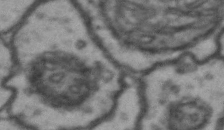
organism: Drosophila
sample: Brain